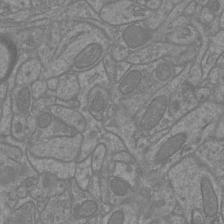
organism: Mouse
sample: Cortical neurons